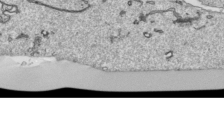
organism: Human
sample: Mitochondria in HCT116 cells